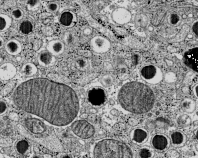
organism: C57BL Mouse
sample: Pancreatic islet